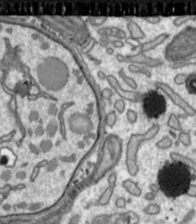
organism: Toxoplasma gondii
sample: Parasites in a vacuole inside a host cell